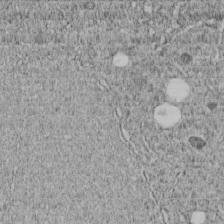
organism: C. elegans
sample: C. elegans embryo early stage